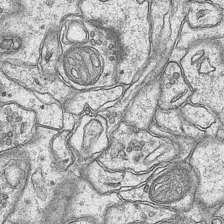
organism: Mouse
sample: CA1 Hippocampus